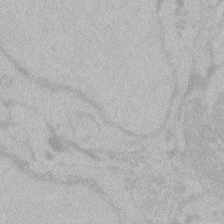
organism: Zebrafish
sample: Macrophage infected with Toxoplasma gondii